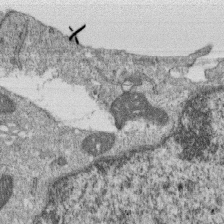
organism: African green monkey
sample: Vero E6 cells infected with SARS-CoV-2